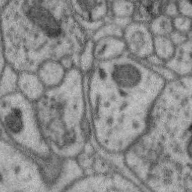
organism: Zebra finch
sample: Brain